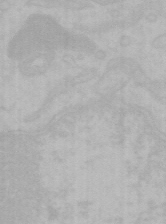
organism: Mouse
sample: Choroid plexus